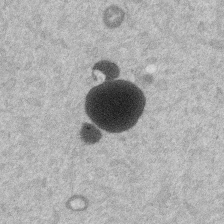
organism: Mouse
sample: Dividing mouse embryo 1 cell stage